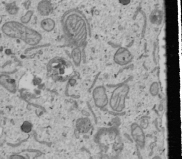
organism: Human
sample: Mitochondria in U2OS cells